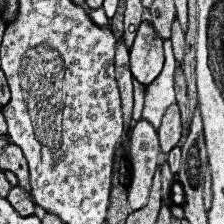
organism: Human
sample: Temporal Lobe